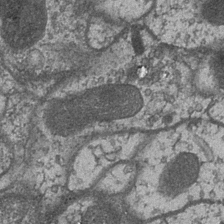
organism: Drosophila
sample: Optic medulla